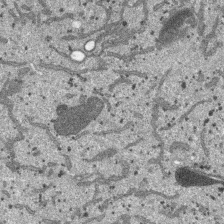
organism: Human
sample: Lung epithelial cells infected with SARS-CoV-2